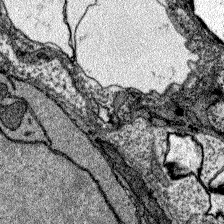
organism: Zebrafish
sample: Larval olfactory bulb